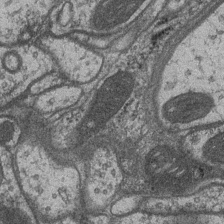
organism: Drosophila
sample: Optic medulla